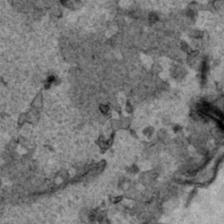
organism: Human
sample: Mitochondria in HCT116 cells